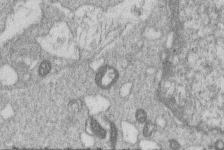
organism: Human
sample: Macrophage cells